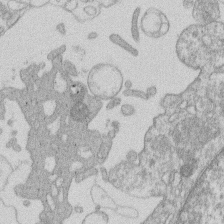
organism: Human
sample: Macrophage cells